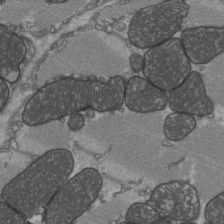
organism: C57BL Mouse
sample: Heart